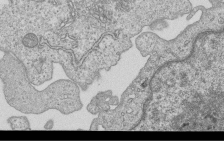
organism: Human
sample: MDA-MB-231 cells